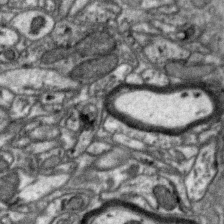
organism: Zebra finch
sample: Brain